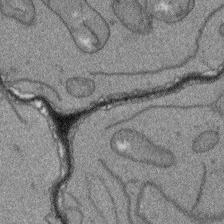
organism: Arabidopsis thaliana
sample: Root tip